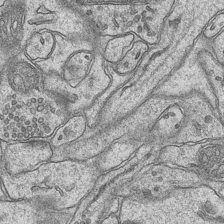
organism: Mouse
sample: CA1 Hippocampus